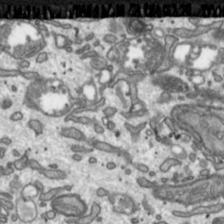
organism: Toxoplasma gondii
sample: Parasites in a vacuole inside a host cell